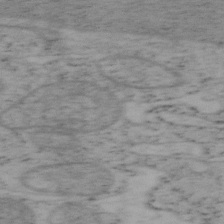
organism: Mouse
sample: OT-I killer T cells with ID8 ovarian cancer cells